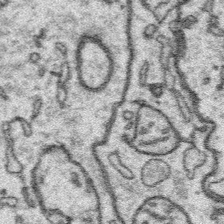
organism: Platynereis dumerilii